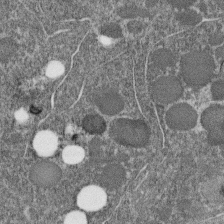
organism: C. elegans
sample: C. elegans embryo early stage